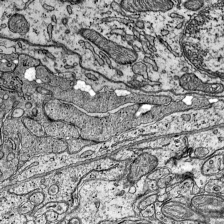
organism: Mouse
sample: Visual Cortex